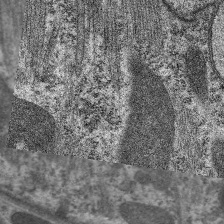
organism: C. elegans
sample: Pharynx